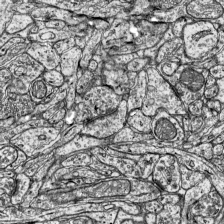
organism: Mouse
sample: Visual Cortex